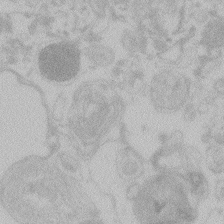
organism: Zebrafish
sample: Macrophage infected with Toxoplasma gondii